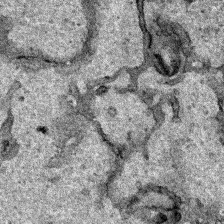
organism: Human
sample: Mitochondria in HCT116 cells